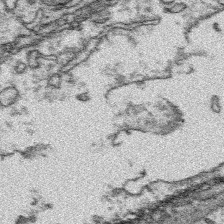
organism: Platynereis dumerilii